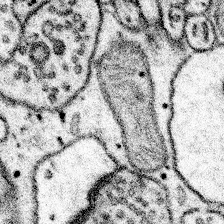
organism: Mouse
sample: Somatosensory cortex neuropil